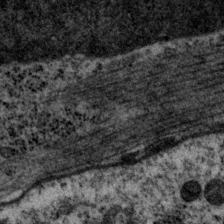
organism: P. pacificus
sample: Pharynx